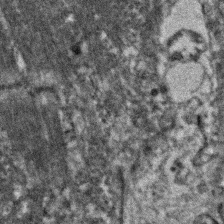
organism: Zebrafish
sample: Zebrafish embryo